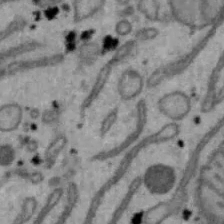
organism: Mouse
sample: Liver